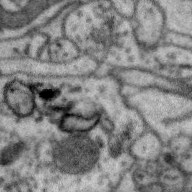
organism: Zebra finch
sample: Brain